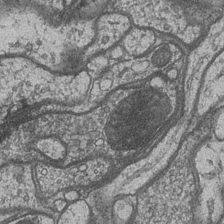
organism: Drosophila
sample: Optic medulla